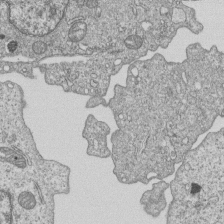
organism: Human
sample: MDA-MB-231 cells